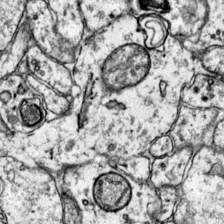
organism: Mouse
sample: Primary visual cortex